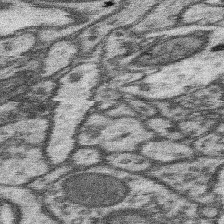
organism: Mouse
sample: Somatosensory cortex neuropil